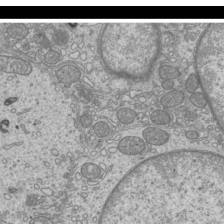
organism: Mouse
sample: Cilia; mouse epididymis